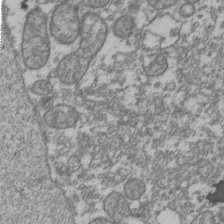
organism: Human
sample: Activated Jurkat CD4+ T cells